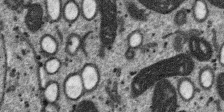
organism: Human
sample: Lung epithelial cells infected with SARS-CoV-2